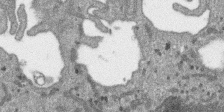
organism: Human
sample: Lung epithelial cells infected with SARS-CoV-2